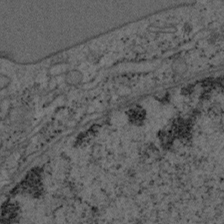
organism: Human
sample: HeLa cells